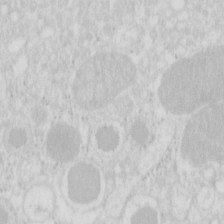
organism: Mouse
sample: Pancreas